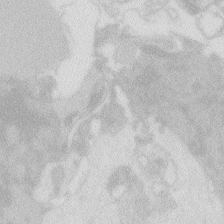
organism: Zebrafish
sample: Macrophage